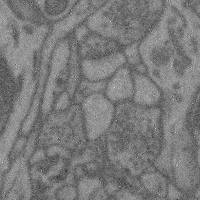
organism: Mouse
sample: Cerebral cortex